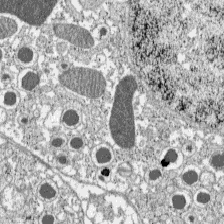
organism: C57BL Mouse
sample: Pancreatic islet